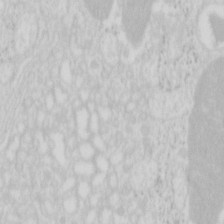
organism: Mouse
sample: Pancreas